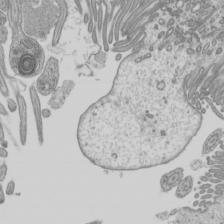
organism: Mouse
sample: Cilia; mouse epididymis